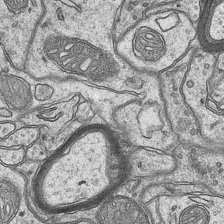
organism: Mouse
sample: CA1 Hippocampus